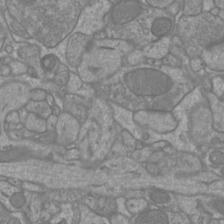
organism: Mouse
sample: Cortical neurons